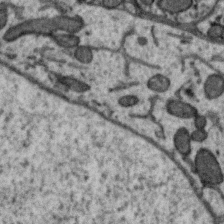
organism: Zebra finch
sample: Brain